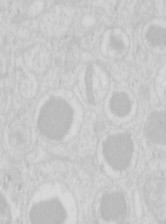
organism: Mouse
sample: Pancreas